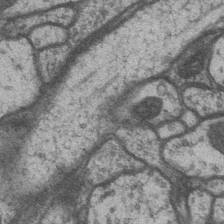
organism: Drosophila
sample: Optic medulla